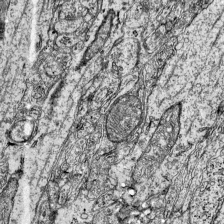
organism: Mouse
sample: Visual Cortex